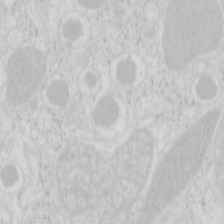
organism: Mouse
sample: Pancreas